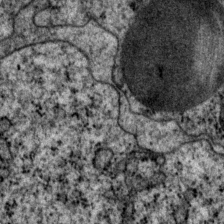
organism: P. pacificus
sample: Pharynx